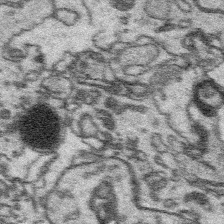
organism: Platynereis dumerilii